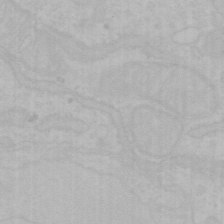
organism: Mouse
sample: Choroid plexus